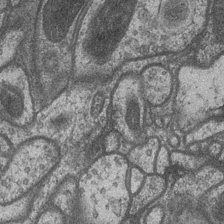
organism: Drosophila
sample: Optic medulla